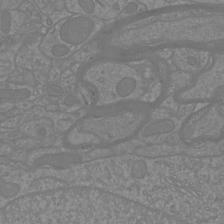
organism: Mouse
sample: Cortical neurons